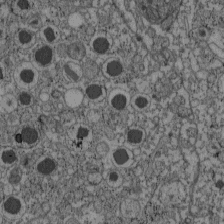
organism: C57BL Mouse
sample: Pancreatic islet